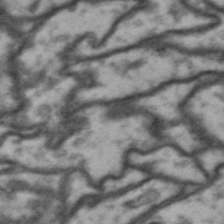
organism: Drosophila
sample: Brain